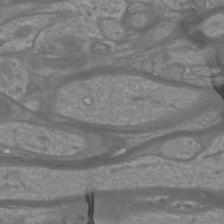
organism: Mouse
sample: Cortical neurons